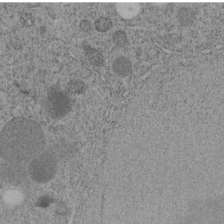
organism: C. elegans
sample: C. elegans embryo early stage